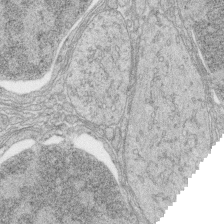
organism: Zebrafish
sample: synaptic ribbons in rod cells and cone cells